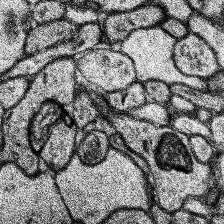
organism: Human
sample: Temporal Lobe